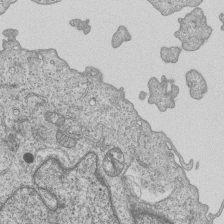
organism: Human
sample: MDA-MB-231 cells